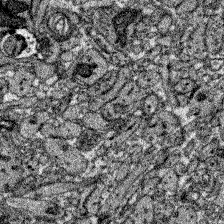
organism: Zebrafish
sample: Larval olfactory bulb